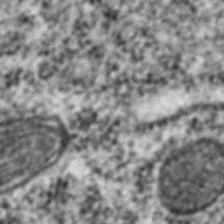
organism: C. elegans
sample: C. elegans embryo